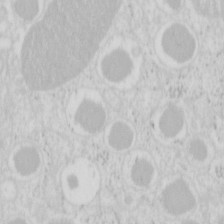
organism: Mouse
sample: Pancreas